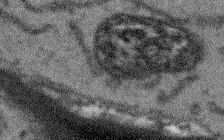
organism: Arabidopsis thaliana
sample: Root tip